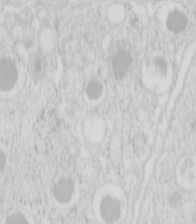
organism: Mouse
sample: Pancreas